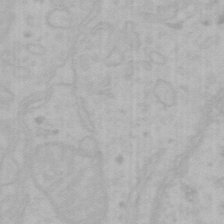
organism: Mouse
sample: Choroid plexus